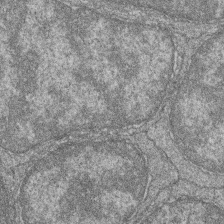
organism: Zebrafish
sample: Cilia; retinal pigment epithelium